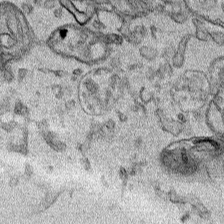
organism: Human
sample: Mitochondria in HCT116 cells